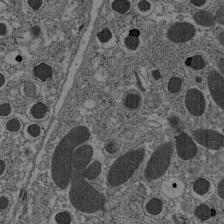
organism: C57BL Mouse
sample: Pancreatic islet